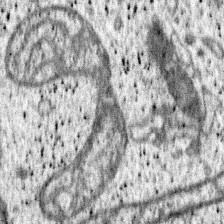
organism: Human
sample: HeLa cells